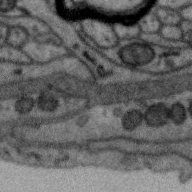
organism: Zebra finch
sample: Brain